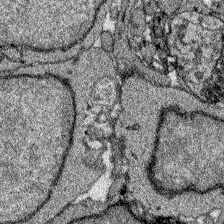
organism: Zebrafish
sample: Larval olfactory bulb